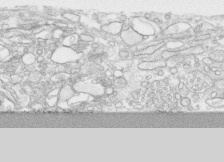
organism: Human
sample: CRL-1474